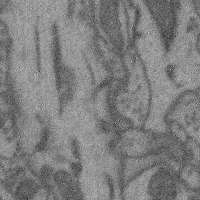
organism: Mouse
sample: Cerebral cortex